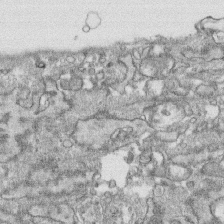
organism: Human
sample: CRL-1474